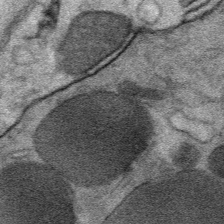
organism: Mouse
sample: Mouse Salivary gland